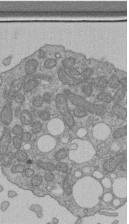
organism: Human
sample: Retinal organoid Rod and Cone cells